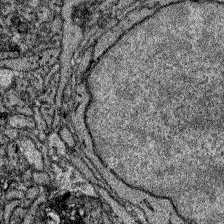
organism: Zebrafish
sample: Larval olfactory bulb